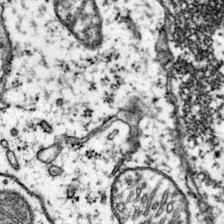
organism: Mouse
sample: Primary visual cortex